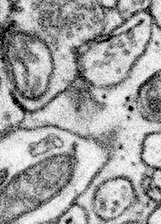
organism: Mouse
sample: Somatosensory cortex neuropil